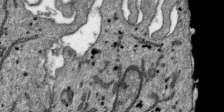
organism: Human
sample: Lung epithelial cells, uninfected (mock) control